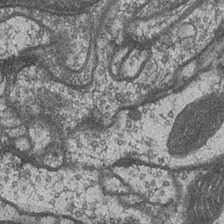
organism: Drosophila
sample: Optic medulla